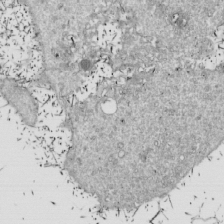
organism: Drosophila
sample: Cell division; meiosis; drosophila spermatocytes